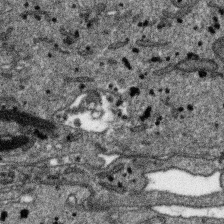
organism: Human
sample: Lung epithelial cells infected with SARS-CoV-2